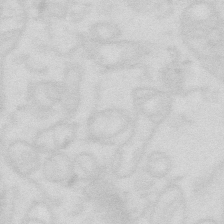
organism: Human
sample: HeLa cells